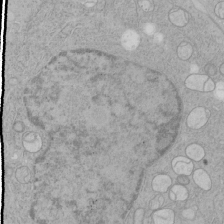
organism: Human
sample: Mitochondria in HCT116 cells